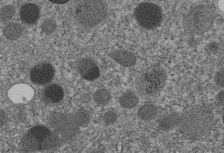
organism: C. elegans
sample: C. elegans embryo early stage